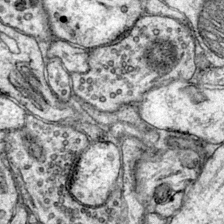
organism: Mouse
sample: Primary visual cortex